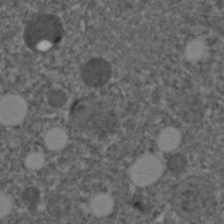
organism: C. elegans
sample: C. elegans embryo